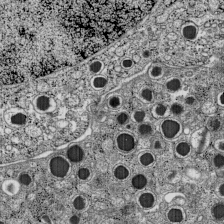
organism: C57BL Mouse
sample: Pancreatic islet